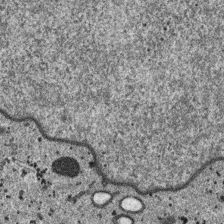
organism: Human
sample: Lung epithelial cells infected with SARS-CoV-2